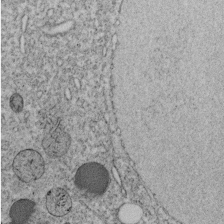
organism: C. elegans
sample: C. elegans embryo early stage